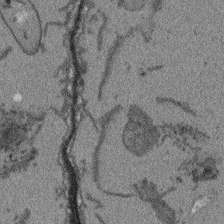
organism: Arabidopsis thaliana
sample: Root tip